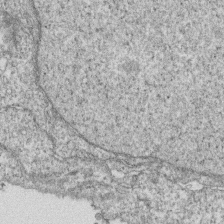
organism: Human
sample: HeLa cell HIV synapse